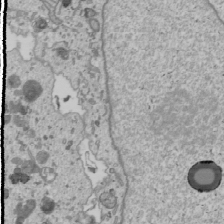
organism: Human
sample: Mitochondria in U2OS cells